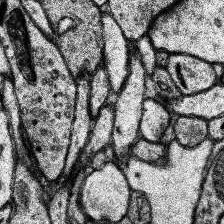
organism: Human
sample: Temporal Lobe